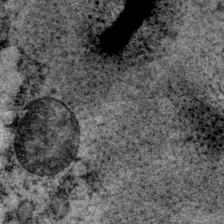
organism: P. pacificus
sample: Pharynx